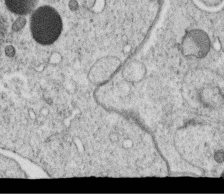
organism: C. elegans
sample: C. elegans oocyte; sperm cells